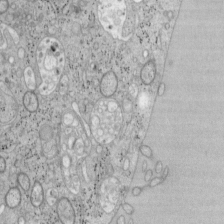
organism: Mouse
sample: OT-I killer T cells with ID8 ovarian cancer cells